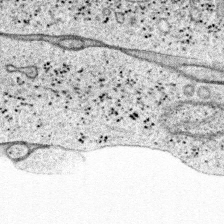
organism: Human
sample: HeLa cells